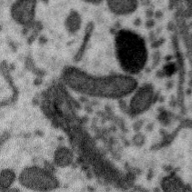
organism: Zebra finch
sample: Brain